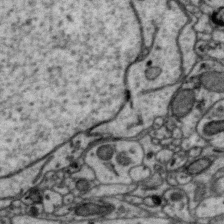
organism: Zebra finch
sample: Brain